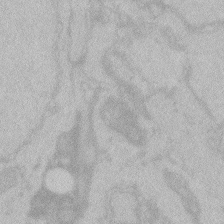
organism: Zebrafish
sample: Macrophage infected with Toxoplasma gondii